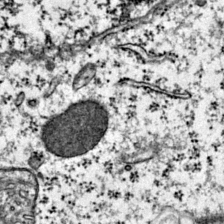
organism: Mouse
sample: Primary visual cortex